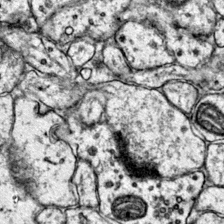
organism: Mouse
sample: Primary visual cortex